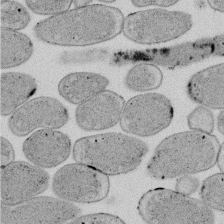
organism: E. coli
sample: Bacterial nucleoid